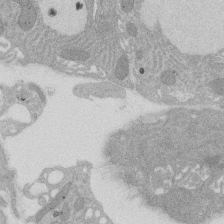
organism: Rat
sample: Salivary granule